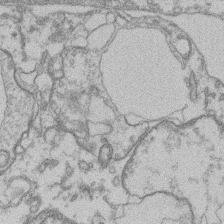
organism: Mouse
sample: T cell stromal cell synapse